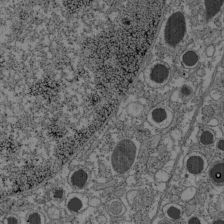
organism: C57BL Mouse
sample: Pancreatic islet